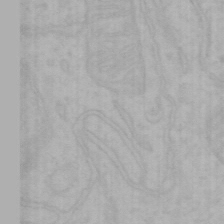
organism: Mouse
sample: Choroid plexus